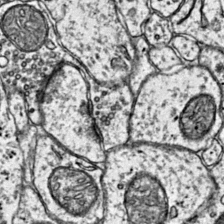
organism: Mouse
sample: Primary visual cortex